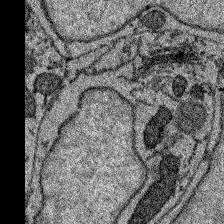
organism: Zebrafish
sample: Larval olfactory bulb